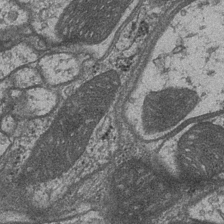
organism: Drosophila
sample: Optic medulla